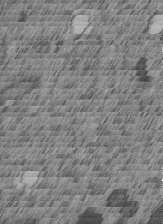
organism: C. elegans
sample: C. elegans embryo early stage